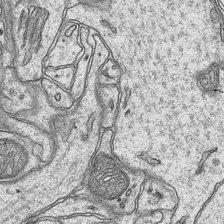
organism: Mouse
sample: CA1 Hippocampus